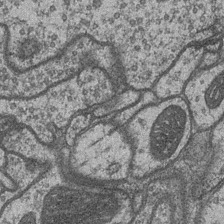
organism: Drosophila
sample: Optic medulla